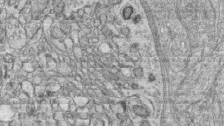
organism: Zebrafish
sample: synaptic ribbons in rod cells and cone cells